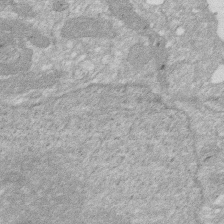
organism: Human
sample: HIV infected U937 cells